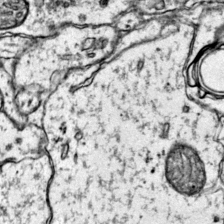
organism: Mouse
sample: Primary visual cortex